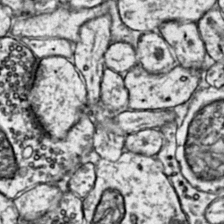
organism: Mouse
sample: Primary visual cortex